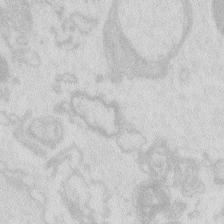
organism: Zebrafish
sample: Macrophage